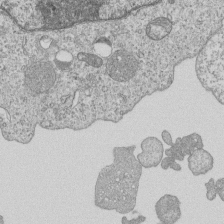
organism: Human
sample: MDA-MB-231 cells